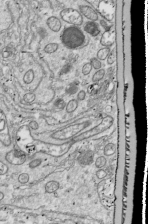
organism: Drosophila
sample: Cell division; meiosis; drosophila spermatocytes